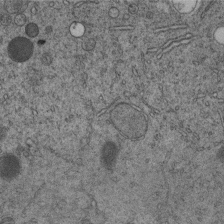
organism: C. elegans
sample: C. elegans embryo early stage